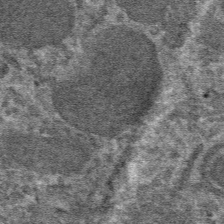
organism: Mouse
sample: Mouse hepatocytes